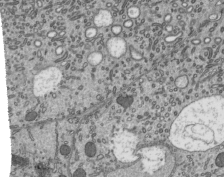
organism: Mouse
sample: Mouse epididymis efferent ductule cilia